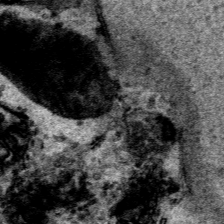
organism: Human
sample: Mitochondria in HCT116 cells